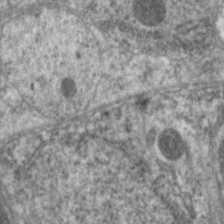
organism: C. elegans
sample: Pharynx